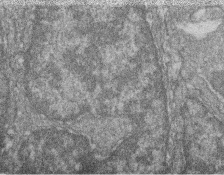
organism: Zebrafish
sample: Cilia; retinal pigment epithelium